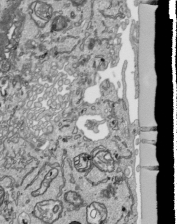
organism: Human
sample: Mitochondria in HCT116 cells